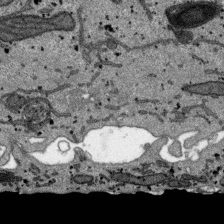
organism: Human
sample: Lung epithelial cells, uninfected (mock) control